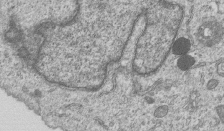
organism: Human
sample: MDA-MB-231 cells